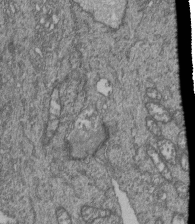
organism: Human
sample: Retinal organoid Rod and Cone cells